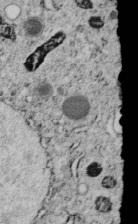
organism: C. elegans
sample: C. elegans embryo early stage